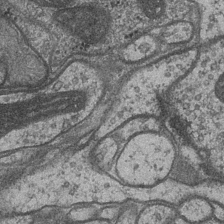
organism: Drosophila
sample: Optic medulla